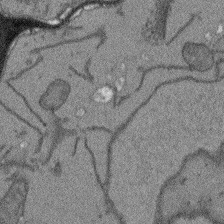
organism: Arabidopsis thaliana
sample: Root tip